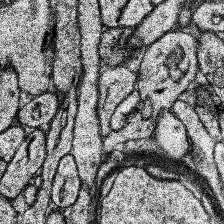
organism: Human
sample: Temporal Lobe